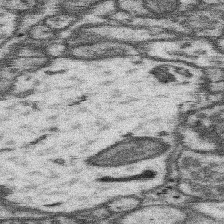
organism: Mouse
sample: Somatosensory cortex neuropil